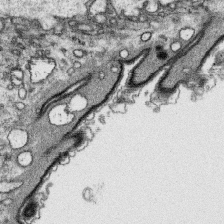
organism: Platynereis dumerilii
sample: Parapodia